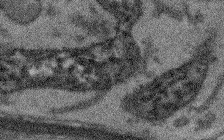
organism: Arabidopsis thaliana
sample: Root tip